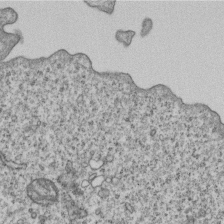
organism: Human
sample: MDA-MB-231 cells